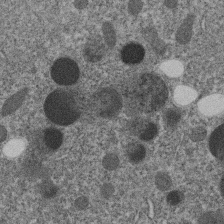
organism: C. elegans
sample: C. elegans embryo early stage